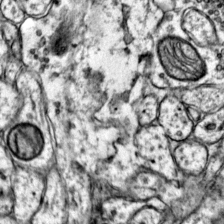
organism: Mouse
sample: Primary visual cortex